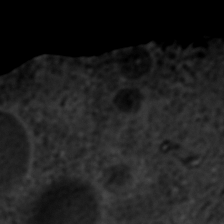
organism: C. elegans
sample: C. elegans embryo